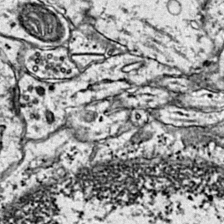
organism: Mouse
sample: Primary visual cortex